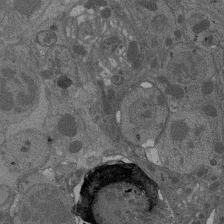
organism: Drosophila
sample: Antenna